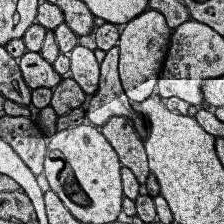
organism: Human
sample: Temporal Lobe